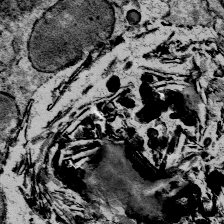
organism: Mouse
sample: Mouse Salivary gland